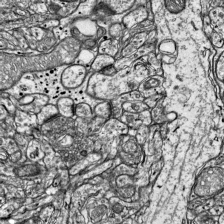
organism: Mouse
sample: Visual Cortex